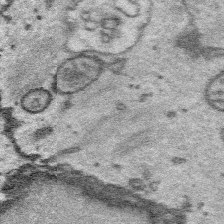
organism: Platynereis dumerilii